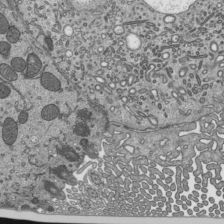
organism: Mouse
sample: Mouse epididymis efferent ductule cilia